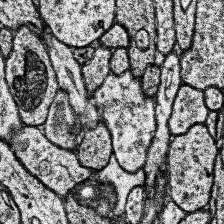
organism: Human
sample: Temporal Lobe